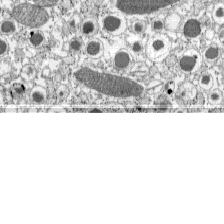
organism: C57BL Mouse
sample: Pancreatic islet